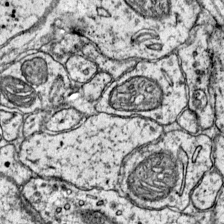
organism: Mouse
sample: Primary visual cortex